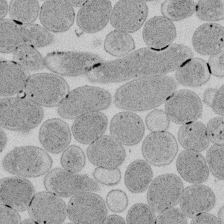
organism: E. coli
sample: Bacterial nucleoid